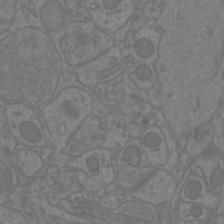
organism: Mouse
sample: Cortical neurons